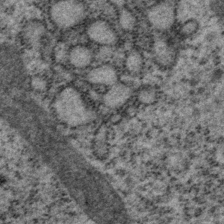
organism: P. pacificus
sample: Pharynx